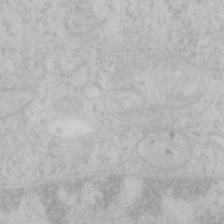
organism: Mouse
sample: OT-I killer T cells with ID8 ovarian cancer cells